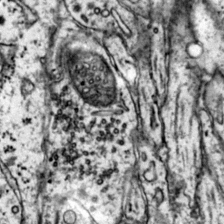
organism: Mouse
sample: Primary visual cortex